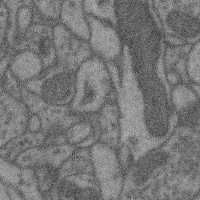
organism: Mouse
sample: Cerebral cortex